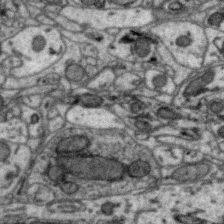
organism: Zebra finch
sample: Brain